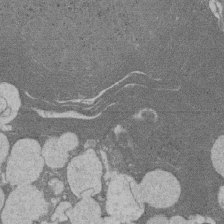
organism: Rat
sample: Salivary granule